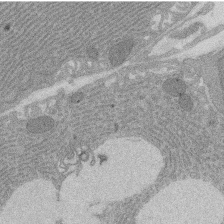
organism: Rat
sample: Salivary granule